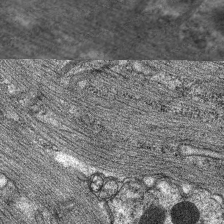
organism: C. elegans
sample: Pharynx